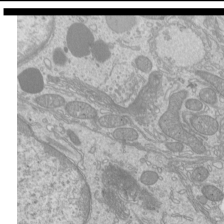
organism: Mouse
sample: Cilia; mouse epididymis